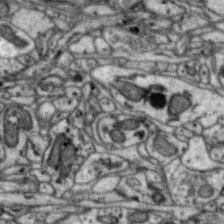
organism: Zebra finch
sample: Brain